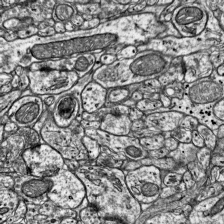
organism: Mouse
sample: Visual Cortex